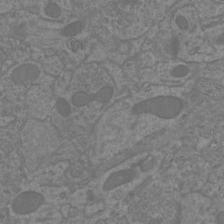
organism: Mouse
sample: Cortical neurons